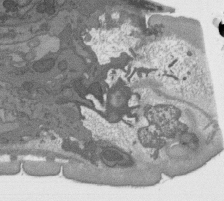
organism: C. elegans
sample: AFD neurons C. elegans